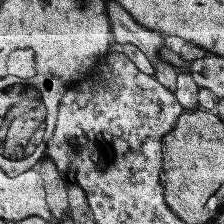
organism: Human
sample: Temporal Lobe